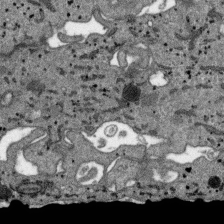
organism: Human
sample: Lung epithelial cells, uninfected (mock) control